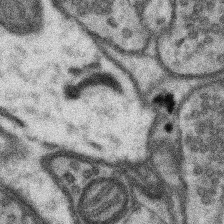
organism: Mouse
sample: Somatosensory cortex neuropil